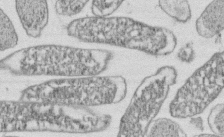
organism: E. coli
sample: Bacterial nucleoid